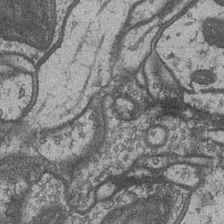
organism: Drosophila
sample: Optic medulla